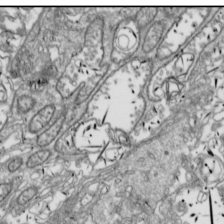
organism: Drosophila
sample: Cell division; meiosis; drosophila spermatocytes